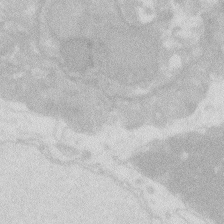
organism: Zebrafish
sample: Macrophage